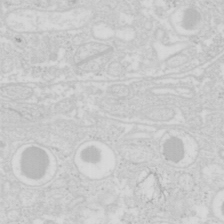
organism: Mouse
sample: Pancreas